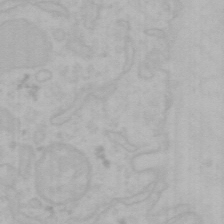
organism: Mouse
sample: Choroid plexus